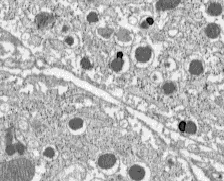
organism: C57BL Mouse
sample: Pancreatic islet